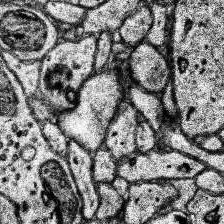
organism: Human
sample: Temporal Lobe